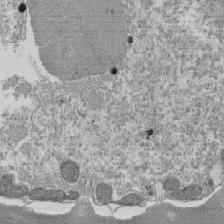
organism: Tetrahymena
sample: Cilia in tetrahymena